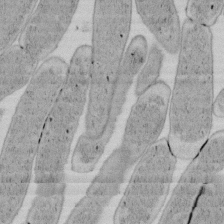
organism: E. coli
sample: Bacterial nucleoid